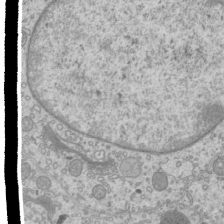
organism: Mouse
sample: Cilia; mouse epididymis